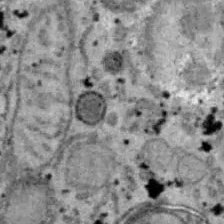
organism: Mouse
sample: Liver from an obese (ob/ob) mouse